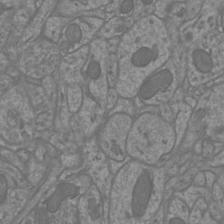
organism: Mouse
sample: Cortical neurons